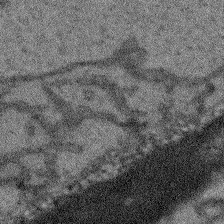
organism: Arabidopsis thaliana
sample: Root tip